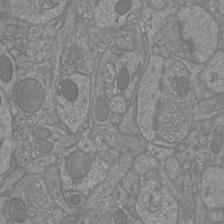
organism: Mouse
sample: Cortical neurons